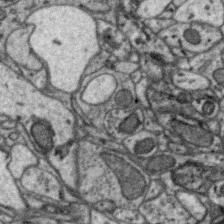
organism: Zebra finch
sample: Brain